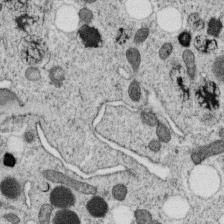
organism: C. elegans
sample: C. elegans oocyte; sperm cells